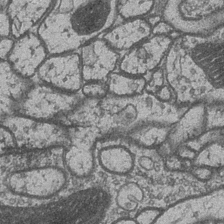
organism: Drosophila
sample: Optic medulla